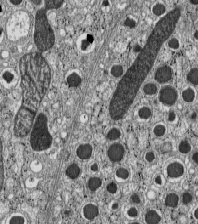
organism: C57BL Mouse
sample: Pancreatic islet